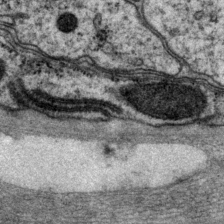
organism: P. pacificus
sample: Pharynx